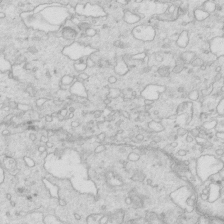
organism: Mouse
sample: Multiciliated cells